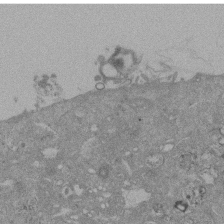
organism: Mouse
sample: ED-1 cell nuclei; centrioles